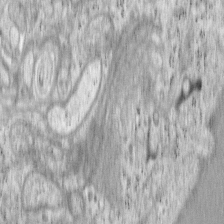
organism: Human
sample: HeLa cells